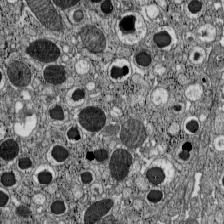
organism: C57BL Mouse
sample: Pancreatic islet